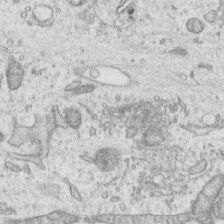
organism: Human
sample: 1205lu cells